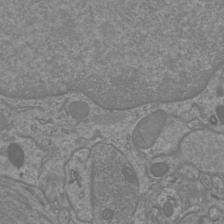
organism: Mouse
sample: Cortical neurons